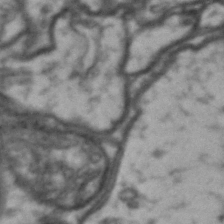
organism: Drosophila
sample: Brain